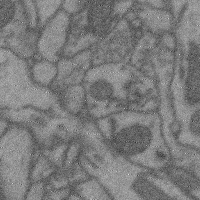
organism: Mouse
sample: Cerebral cortex